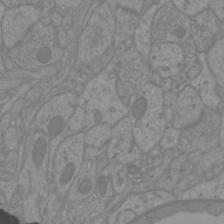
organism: Mouse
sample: Cortical neurons